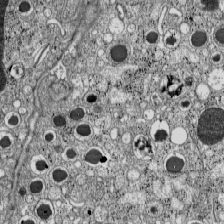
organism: C57BL Mouse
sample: Pancreatic islet